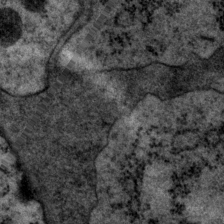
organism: P. pacificus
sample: Pharynx